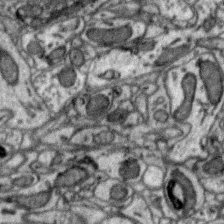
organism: Zebra finch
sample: Brain